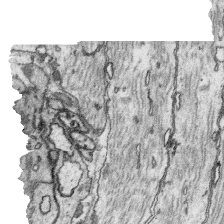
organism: Platynereis dumerilii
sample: Parapodia